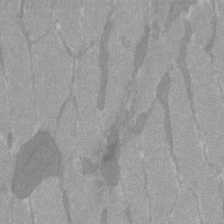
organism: C57BL Mouse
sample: Tibialis anterior muscle cell